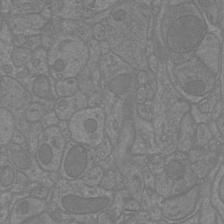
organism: Mouse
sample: Cortical neurons